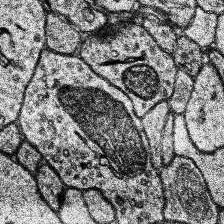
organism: Human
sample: Temporal Lobe